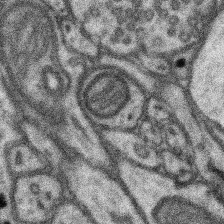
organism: Mouse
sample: Somatosensory cortex neuropil